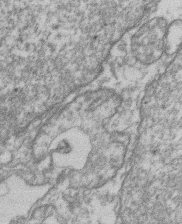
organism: Mouse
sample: T cell stromal cell synapse